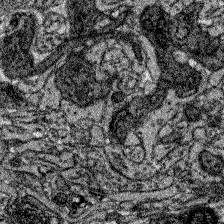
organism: Zebrafish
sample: Larval olfactory bulb